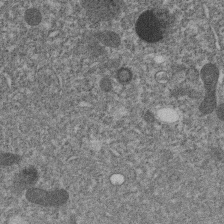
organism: C. elegans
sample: C. elegans embryo early stage